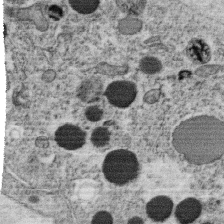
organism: C. elegans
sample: C. elegans oocyte; sperm cells